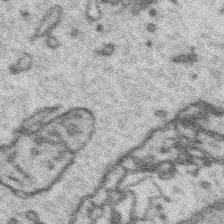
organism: Platynereis dumerilii